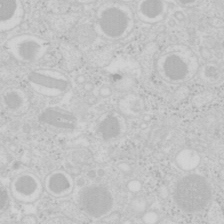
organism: Mouse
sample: Pancreas